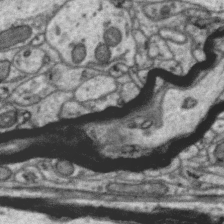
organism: Zebra finch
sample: Brain